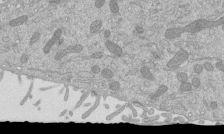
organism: Mouse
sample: ED-1 cell nuclei; centrioles